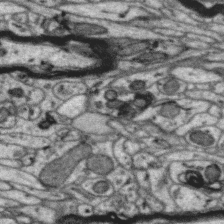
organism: Zebra finch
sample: Brain